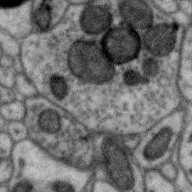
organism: Zebra finch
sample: Brain